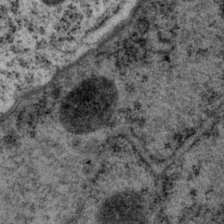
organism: P. pacificus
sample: Pharynx